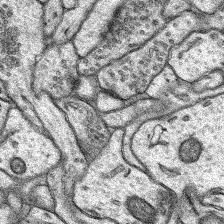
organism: Rat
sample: Hippocampus